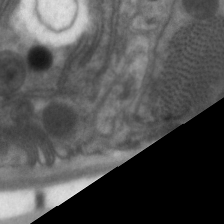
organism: C. elegans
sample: Pharynx